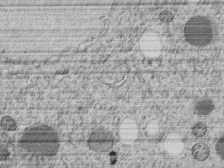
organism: C. elegans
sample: C. elegans embryo early stage